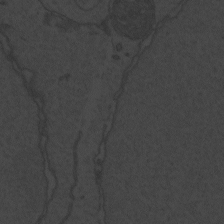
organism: Zebrafish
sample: Macrophage infected with Toxoplasma gondii